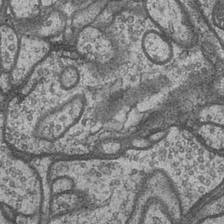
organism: Drosophila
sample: Optic medulla